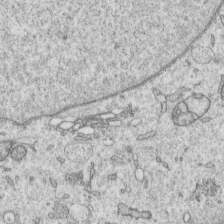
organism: Human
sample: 1205lu cells